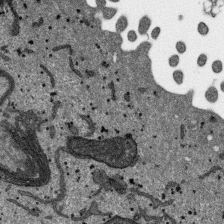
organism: Human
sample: Lung epithelial cells, uninfected (mock) control